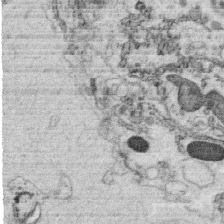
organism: C. elegans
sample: C. elegans oocyte; sperm cells